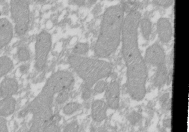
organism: Xenopus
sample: Cilia; centrioles in frog embryo cells